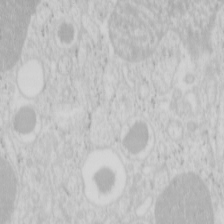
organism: Mouse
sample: Pancreas